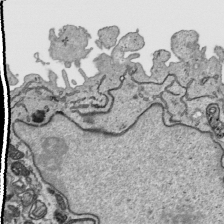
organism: Human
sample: Mitochondria in HCT116 cells